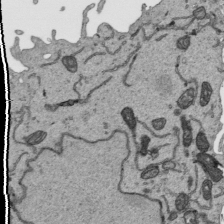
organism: Human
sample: Mitochondria in HCT116 cells